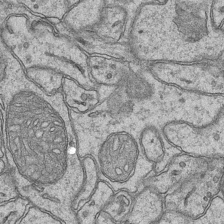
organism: Mouse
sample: CA1 Hippocampus